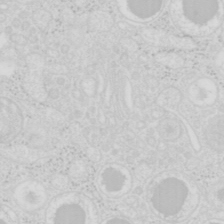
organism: Mouse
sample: Pancreas